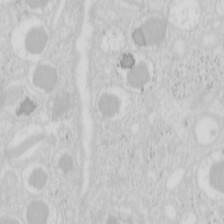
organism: Mouse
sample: Pancreas